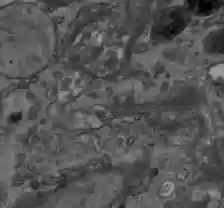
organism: C57BL Mouse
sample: Liver